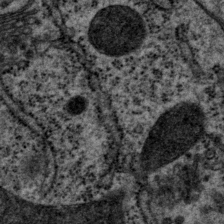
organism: P. pacificus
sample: Pharynx